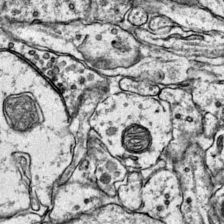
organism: Mouse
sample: Primary visual cortex